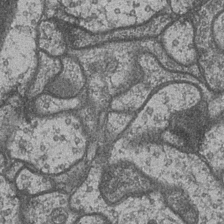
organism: Drosophila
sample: Optic medulla